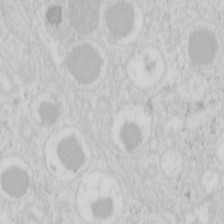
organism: Mouse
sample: Pancreas